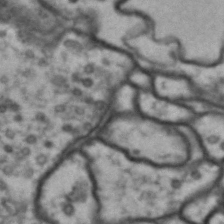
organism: Drosophila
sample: Brain